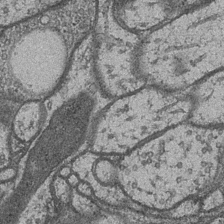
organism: Drosophila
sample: Optic medulla